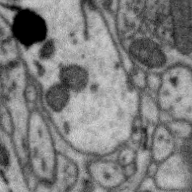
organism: Zebra finch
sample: Brain